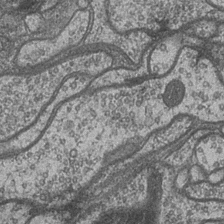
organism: Drosophila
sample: Optic medulla